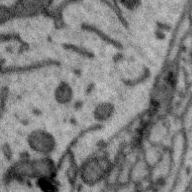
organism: Zebra finch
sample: Brain